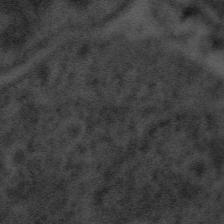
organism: Tuwongella immobilis